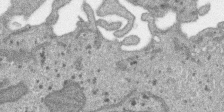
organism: Human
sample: Lung epithelial cells infected with SARS-CoV-2